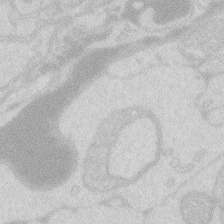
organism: Zebrafish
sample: Macrophage